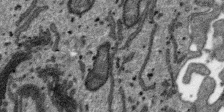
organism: Human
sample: Lung epithelial cells, uninfected (mock) control